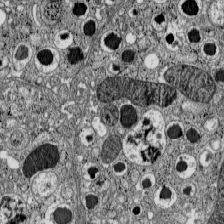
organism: C57BL Mouse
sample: Pancreatic islet